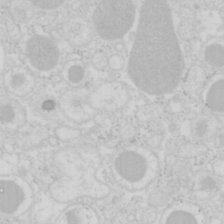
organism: Mouse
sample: Pancreas